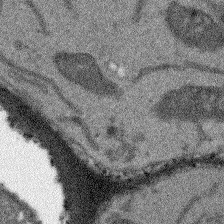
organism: Arabidopsis thaliana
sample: Root tip